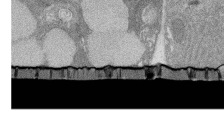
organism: Rat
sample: Salivary granule